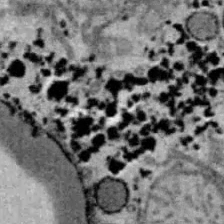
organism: Mouse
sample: Liver from an obese (ob/ob) mouse